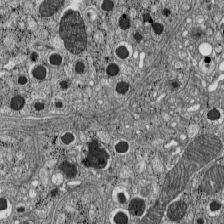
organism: C57BL Mouse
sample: Pancreatic islet